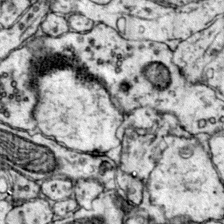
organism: Mouse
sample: Primary visual cortex